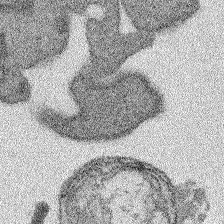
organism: Human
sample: HeLa cells